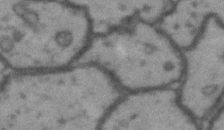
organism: Drosophila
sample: Brain